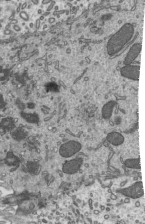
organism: Mouse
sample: Mouse epididymis efferent ductule cilia